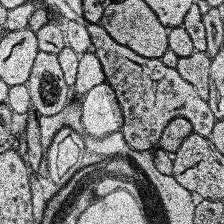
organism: Human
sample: Temporal Lobe